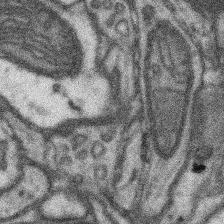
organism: Mouse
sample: Somatosensory cortex neuropil